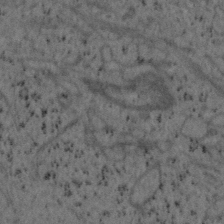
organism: Human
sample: HeLa cells